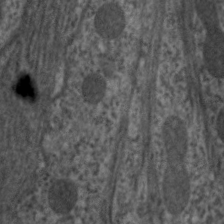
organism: C. elegans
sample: Pharynx